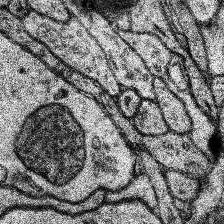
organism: Human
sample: Temporal Lobe